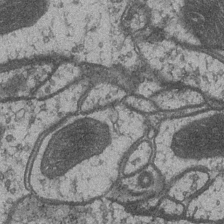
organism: Drosophila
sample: Optic medulla